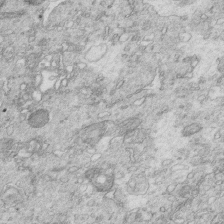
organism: Mouse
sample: Multiciliated cells